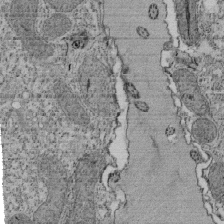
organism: Tetrahymena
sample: Cilia in tetrahymena